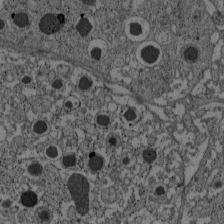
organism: C57BL Mouse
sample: Pancreatic islet